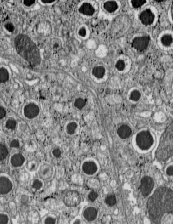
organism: C57BL Mouse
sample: Pancreatic islet